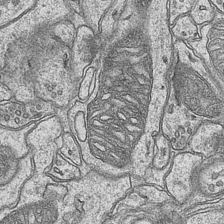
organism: Mouse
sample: CA1 Hippocampus